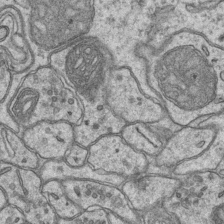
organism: Mouse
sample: CA1 Hippocampus